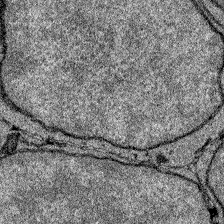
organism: Zebrafish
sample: Larval olfactory bulb